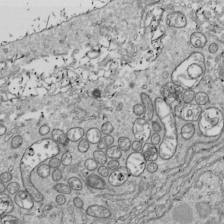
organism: Drosophila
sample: Cell division; meiosis; drosophila spermatocytes